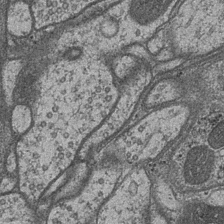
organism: Drosophila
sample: Optic medulla